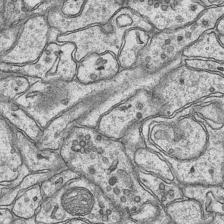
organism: Mouse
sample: CA1 Hippocampus